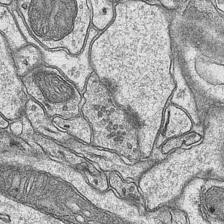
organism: Mouse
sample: CA1 Hippocampus